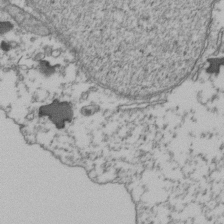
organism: Human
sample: Activated Jurkat CD4+ T cells